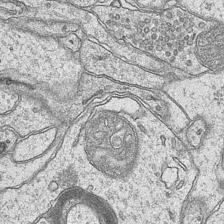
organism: Mouse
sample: CA1 Hippocampus